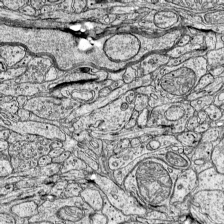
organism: Mouse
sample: Visual Cortex